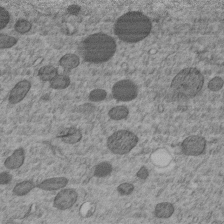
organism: C. elegans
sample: C. elegans embryo early stage